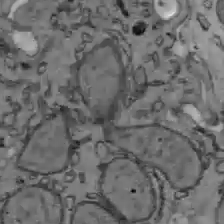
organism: C57BL Mouse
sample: Liver